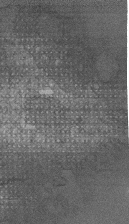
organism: Human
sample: Retinal organoid Rod and Cone cells